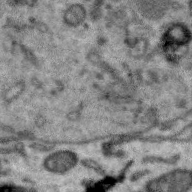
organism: Zebra finch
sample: Brain